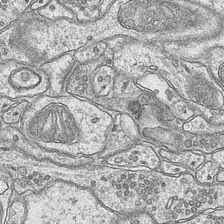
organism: Mouse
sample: CA1 Hippocampus